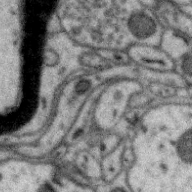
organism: Zebra finch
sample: Brain